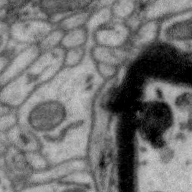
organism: Zebra finch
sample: Brain